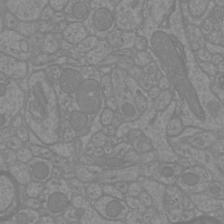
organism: Mouse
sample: Cortical neurons